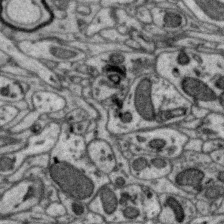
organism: Zebra finch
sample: Brain